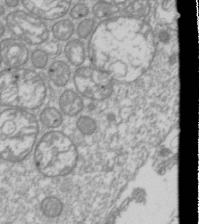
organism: Drosophila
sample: Cell division; meiosis; drosophila spermatocytes